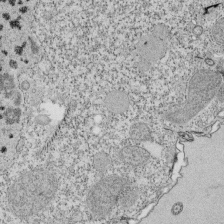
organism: Tetrahymena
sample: Cilia in tetrahymena